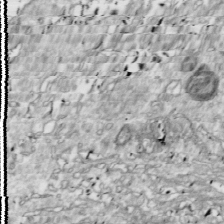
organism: Drosophila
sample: Cell division; meiosis; drosophila spermatocytes